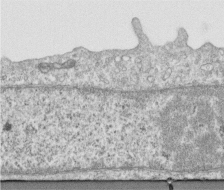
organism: Human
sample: Centriole in RPE cells